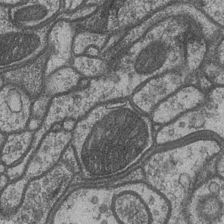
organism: Drosophila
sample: Optic medulla